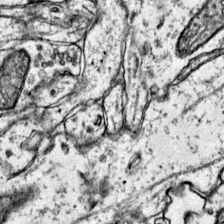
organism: Mouse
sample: Primary visual cortex